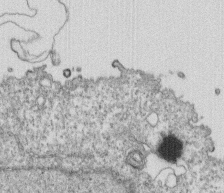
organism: Human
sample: HeLa cell HIV synapse